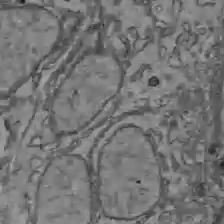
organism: C57BL Mouse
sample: Liver